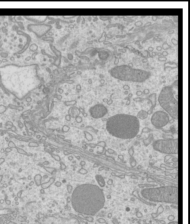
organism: Mouse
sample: Cilia; mouse epididymis